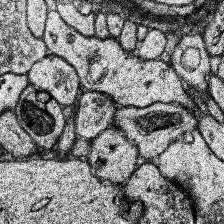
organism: Human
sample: Temporal Lobe